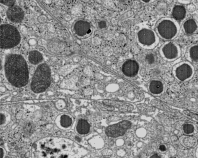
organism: C57BL Mouse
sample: Pancreatic islet